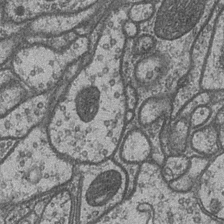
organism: Drosophila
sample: Optic medulla